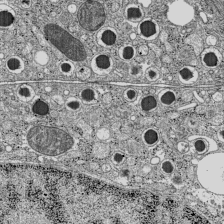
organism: C57BL Mouse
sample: Pancreatic islet